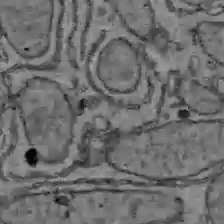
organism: C57BL Mouse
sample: Liver